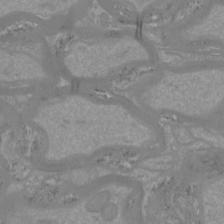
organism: Mouse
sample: Cortical neurons